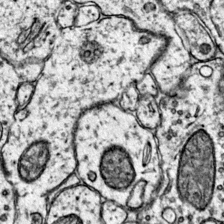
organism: Mouse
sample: Primary visual cortex